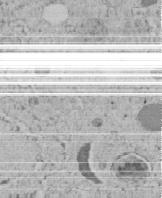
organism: C. elegans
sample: C. elegans embryo early stage